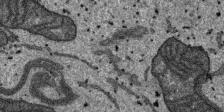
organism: Human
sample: Lung epithelial cells, uninfected (mock) control